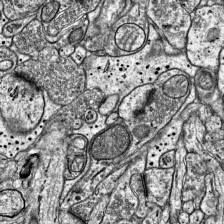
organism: Mouse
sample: Visual Cortex